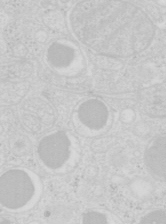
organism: Mouse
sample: Pancreas